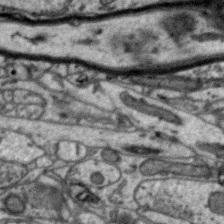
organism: Zebra finch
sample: Brain